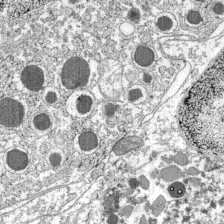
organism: C57BL Mouse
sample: Pancreatic islet